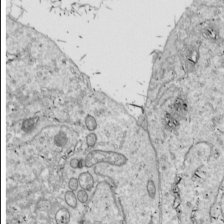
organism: Drosophila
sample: Cell division; meiosis; drosophila spermatocytes